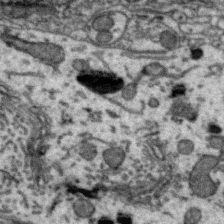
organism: Zebra finch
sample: Brain